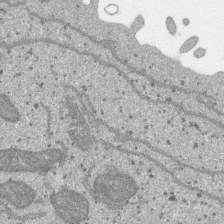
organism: Human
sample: Lung epithelial cells infected with SARS-CoV-2